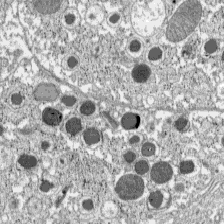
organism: C57BL Mouse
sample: Pancreatic islet